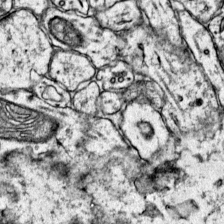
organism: Mouse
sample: Primary visual cortex